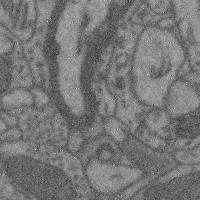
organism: Mouse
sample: Cerebral cortex